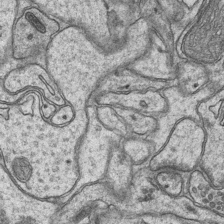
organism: Mouse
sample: CA1 Hippocampus